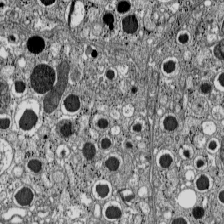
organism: C57BL Mouse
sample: Pancreatic islet